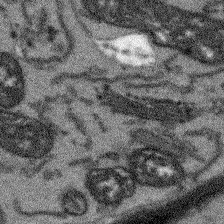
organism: Arabidopsis thaliana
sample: Root tip